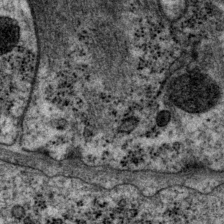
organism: P. pacificus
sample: Pharynx